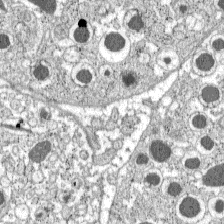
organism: C57BL Mouse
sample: Pancreatic islet